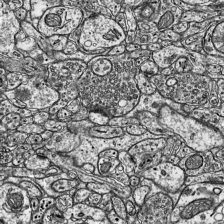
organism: Mouse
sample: Visual Cortex